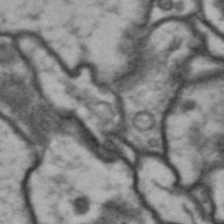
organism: Drosophila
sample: Brain